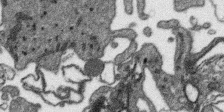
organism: Human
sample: Lung epithelial cells infected with SARS-CoV-2